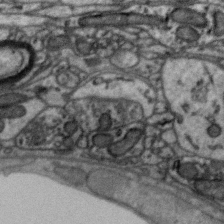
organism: Zebra finch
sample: Brain